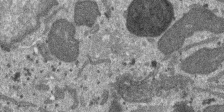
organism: Human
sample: Lung epithelial cells infected with SARS-CoV-2